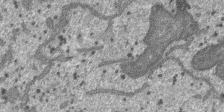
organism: Human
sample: Lung epithelial cells infected with SARS-CoV-2